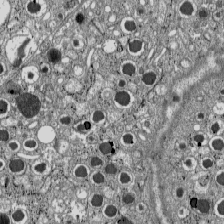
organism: C57BL Mouse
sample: Pancreatic islet